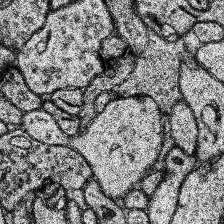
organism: Human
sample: Temporal Lobe